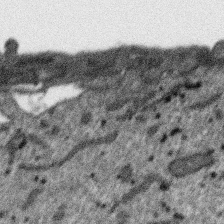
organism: Human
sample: Lung epithelial cells infected with SARS-CoV-2